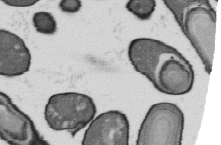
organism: B. subtilis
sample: Bacterial spore